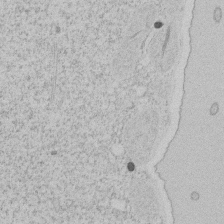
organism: Tetrahymena